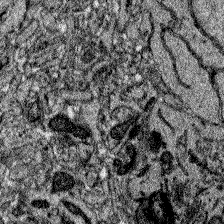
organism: Zebrafish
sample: Larval olfactory bulb